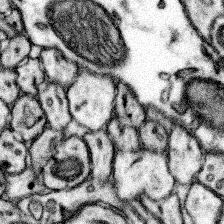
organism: Mouse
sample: Somatosensory cortex neuropil